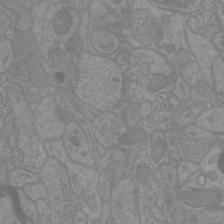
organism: Mouse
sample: Cortical neurons